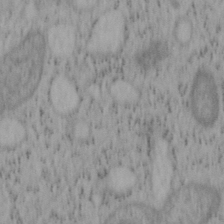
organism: Mouse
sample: OT-I killer T cells with ID8 ovarian cancer cells